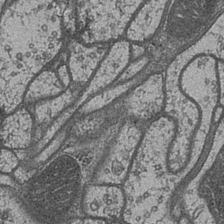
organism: Drosophila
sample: Optic medulla